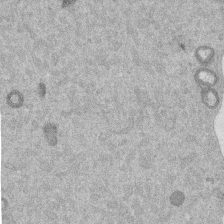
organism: Mouse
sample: Dividing mouse embryo 1 cell stage